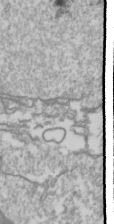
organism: Drosophila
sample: Cell division; meiosis; drosophila spermatocytes